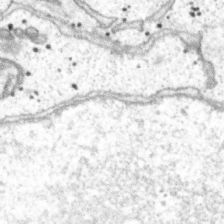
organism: Human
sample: HeLa cells